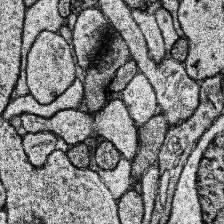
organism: Human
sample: Temporal Lobe